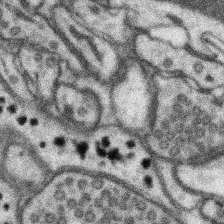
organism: Mouse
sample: Somatosensory cortex neuropil